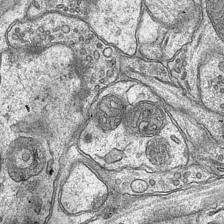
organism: Mouse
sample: CA1 Hippocampus